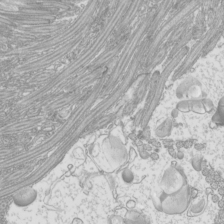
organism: Mouse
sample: Cilia; mouse epididymis